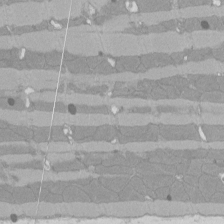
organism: Rat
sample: Left ventricle